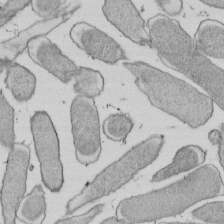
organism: E. coli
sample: Bacterial nucleoid